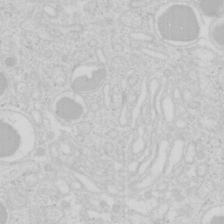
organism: Mouse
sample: Pancreas